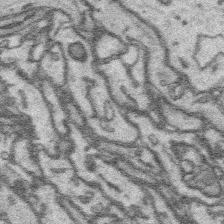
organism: Platynereis dumerilii